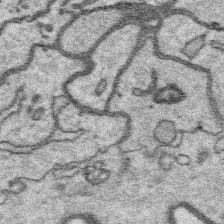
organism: Platynereis dumerilii